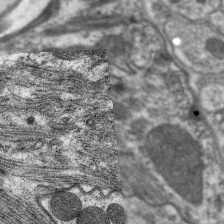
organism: C. elegans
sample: Pharynx